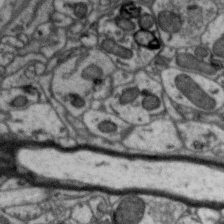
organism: Zebra finch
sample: Brain